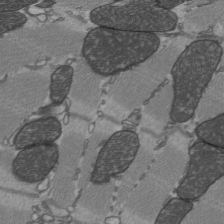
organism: C57BL Mouse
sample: Heart